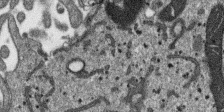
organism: Human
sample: Lung epithelial cells infected with SARS-CoV-2